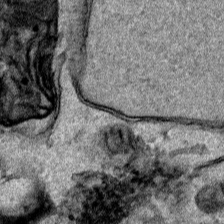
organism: Human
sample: Mitochondria in HCT116 cells